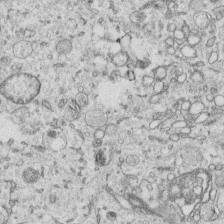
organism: Human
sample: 1205lu cells